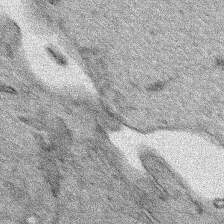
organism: Human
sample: Mitochondria in HCT116 cells